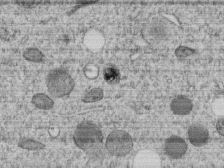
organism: C. elegans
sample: C. elegans embryo early stage